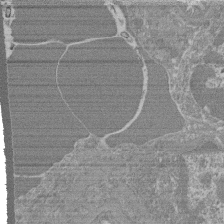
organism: Mouse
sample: Glomerulus